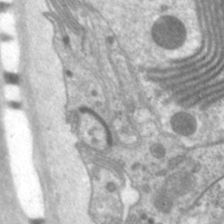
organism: C. elegans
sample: Pharynx